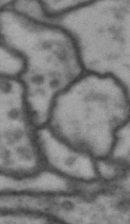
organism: Drosophila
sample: Brain